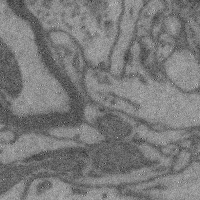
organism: Mouse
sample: Cerebral cortex